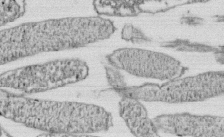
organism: E. coli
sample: Bacterial nucleoid